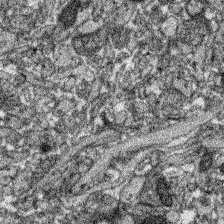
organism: Zebrafish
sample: Larval olfactory bulb